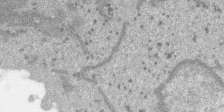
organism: Human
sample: Lung epithelial cells infected with SARS-CoV-2